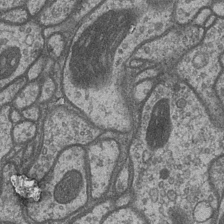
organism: Drosophila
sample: Optic medulla